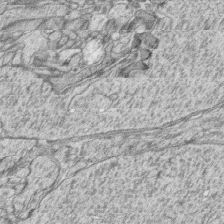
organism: Zebrafish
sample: synaptic ribbons in rod cells and cone cells